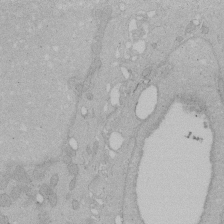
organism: Human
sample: Melanocyte Keratinocyte synapse skin construct